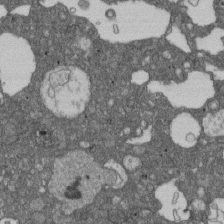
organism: Drosophila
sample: Nephrocyte